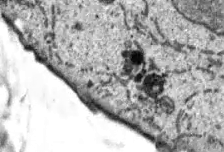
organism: Human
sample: HeLa cells